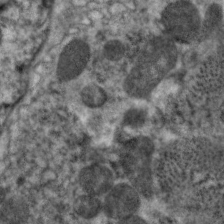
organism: C. elegans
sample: Pharynx